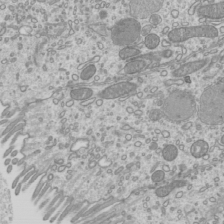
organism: Mouse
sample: Cilia; mouse epididymis